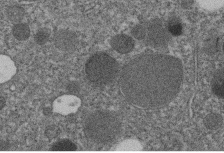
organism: C. elegans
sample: C. elegans embryo early stage